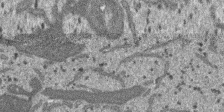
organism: Human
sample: Lung epithelial cells infected with SARS-CoV-2